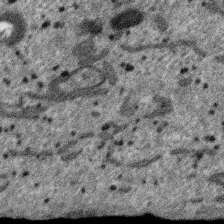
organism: Human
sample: Lung epithelial cells infected with SARS-CoV-2